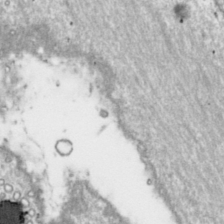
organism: Toxoplasma gondii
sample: Parasites in a vacuole inside a host cell